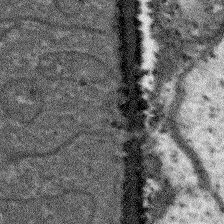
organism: Arabidopsis thaliana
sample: Root tip